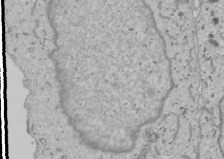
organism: Human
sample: Mitochondria in U2OS cells